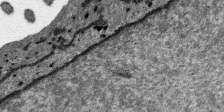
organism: Human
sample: Lung epithelial cells, uninfected (mock) control